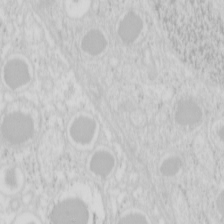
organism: Mouse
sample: Pancreas